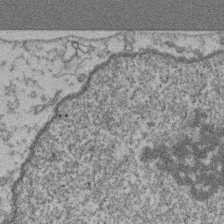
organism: Mouse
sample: T cell stromal cell synapse